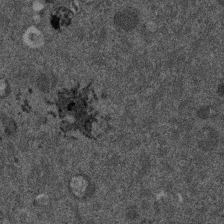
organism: Mouse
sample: Dividing mouse embryo 1 cell stage